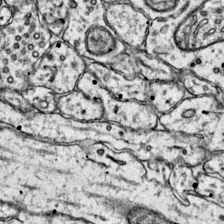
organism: Mouse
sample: Primary visual cortex